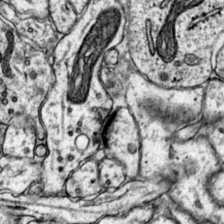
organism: Mouse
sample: Primary visual cortex